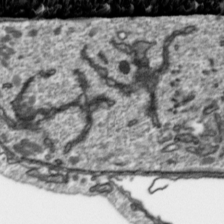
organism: Toxoplasma gondii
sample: Parasites in a vacuole inside a host cell